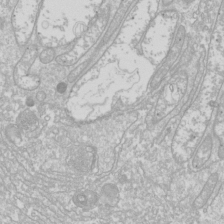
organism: Drosophila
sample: Cell division; meiosis; drosophila spermatocytes